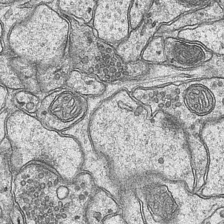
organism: Mouse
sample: CA1 Hippocampus